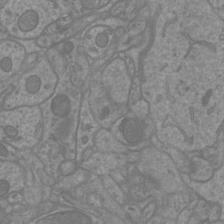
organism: Mouse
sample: Cortical neurons